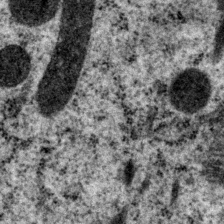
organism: P. pacificus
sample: Pharynx